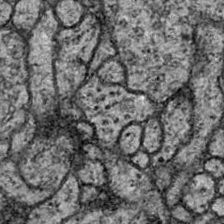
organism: Drosophila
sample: Ventral Nerve Cord